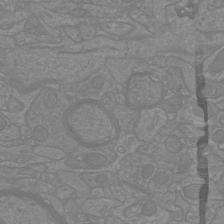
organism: Mouse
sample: Cortical neurons